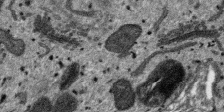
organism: Human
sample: Lung epithelial cells, uninfected (mock) control